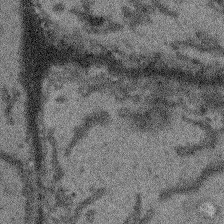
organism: Arabidopsis thaliana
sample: Root tip